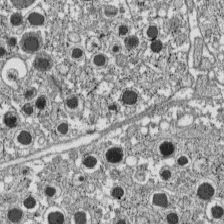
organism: C57BL Mouse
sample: Pancreatic islet